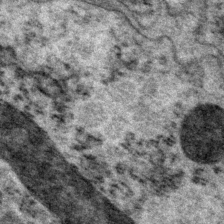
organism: P. pacificus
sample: Pharynx